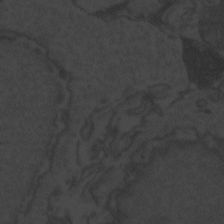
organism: Zebrafish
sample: Macrophage infected with Toxoplasma gondii